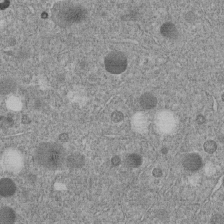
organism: C. elegans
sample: C. elegans embryo early stage